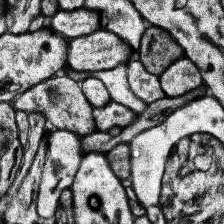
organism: Human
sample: Temporal Lobe